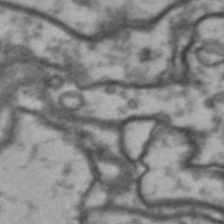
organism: Drosophila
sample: Brain